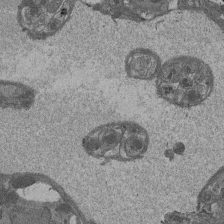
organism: Drosophila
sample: Antenna